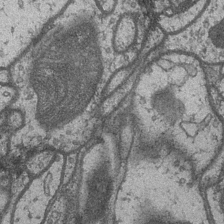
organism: Drosophila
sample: Optic medulla